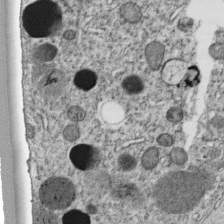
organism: C. elegans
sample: C. elegans embryo early stage